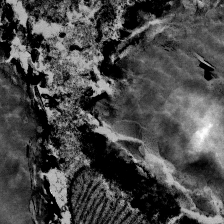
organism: Mouse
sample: Mouse Salivary gland